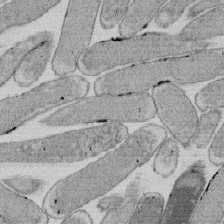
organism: E. coli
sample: Bacterial nucleoid